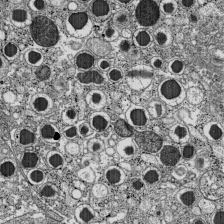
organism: C57BL Mouse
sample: Pancreatic islet